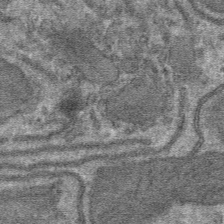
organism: Mouse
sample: Mouse hepatocytes